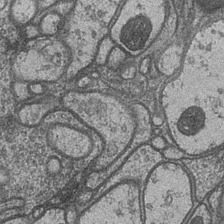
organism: Drosophila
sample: Optic medulla